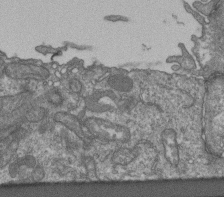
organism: Human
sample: Retinal organoid Rod and Cone cells